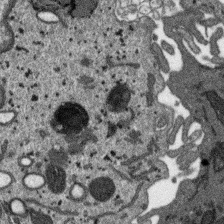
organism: Human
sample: Lung epithelial cells infected with SARS-CoV-2